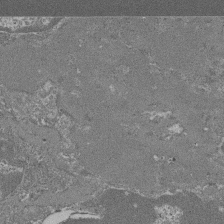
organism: Mouse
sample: Glomerulus